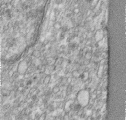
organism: Human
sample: Centriole in RPE cells